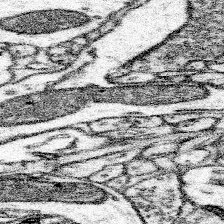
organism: Mouse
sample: Somatosensory cortex neuropil